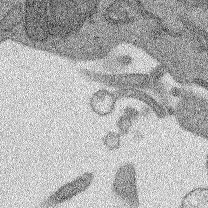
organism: Human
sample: HeLa cells